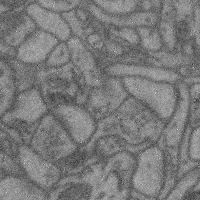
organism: Mouse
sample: Cerebral cortex